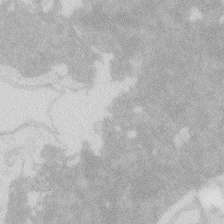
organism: Zebrafish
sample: Macrophage